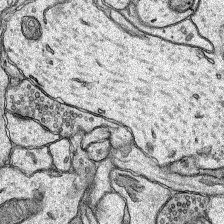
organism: Rat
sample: Hippocampus